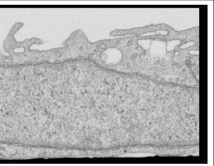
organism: Human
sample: Centriole in RPE cells